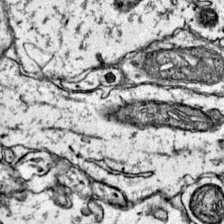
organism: Mouse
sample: Primary visual cortex